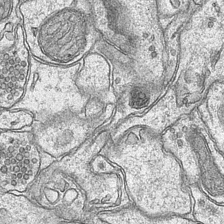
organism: Mouse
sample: CA1 Hippocampus